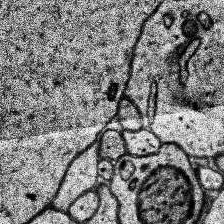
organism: Human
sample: Temporal Lobe